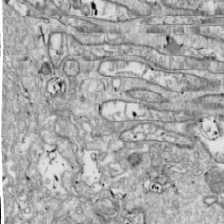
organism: Drosophila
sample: Cell division; meiosis; drosophila spermatocytes